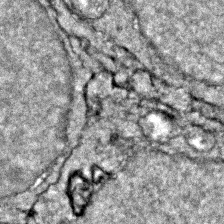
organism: Zebrafish